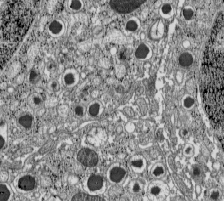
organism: C57BL Mouse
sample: Pancreatic islet